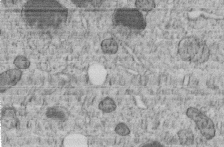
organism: C. elegans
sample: C. elegans embryo early stage